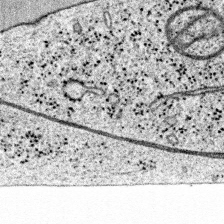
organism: Human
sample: HeLa cells